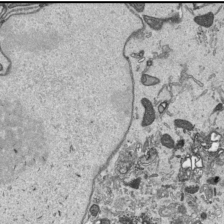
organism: Human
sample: Mitochondria in HCT116 cells